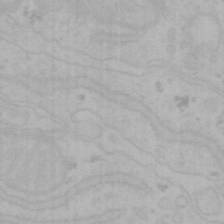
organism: Mouse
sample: Choroid plexus